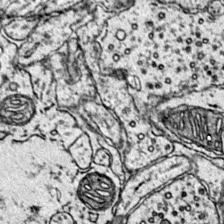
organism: Mouse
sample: Primary visual cortex